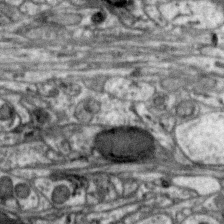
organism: Zebra finch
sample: Brain